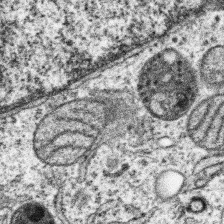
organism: Human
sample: HeLa cells